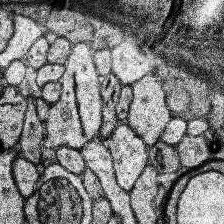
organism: Human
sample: Temporal Lobe